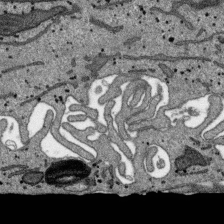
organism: Human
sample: Lung epithelial cells, uninfected (mock) control